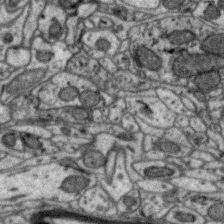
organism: Zebra finch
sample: Brain